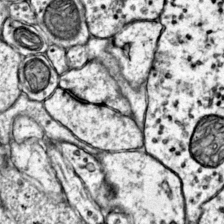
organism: Mouse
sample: Primary visual cortex